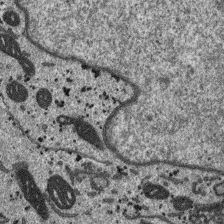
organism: Human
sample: Lung epithelial cells infected with SARS-CoV-2